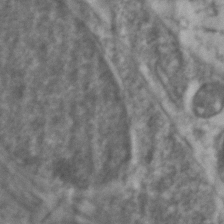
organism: Zebrafish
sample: Zebrafish embryo